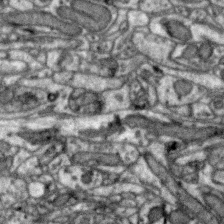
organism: Zebra finch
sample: Brain